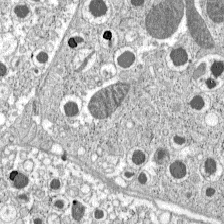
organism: C57BL Mouse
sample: Pancreatic islet